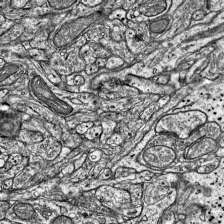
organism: Mouse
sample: Visual Cortex